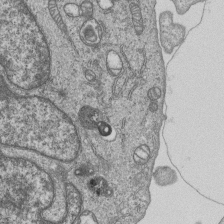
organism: Human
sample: MDA-MB-231 cells